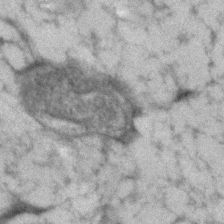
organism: Human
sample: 1205lu cells